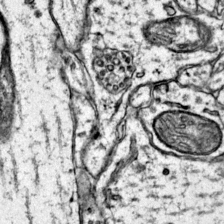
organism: Mouse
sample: Primary visual cortex